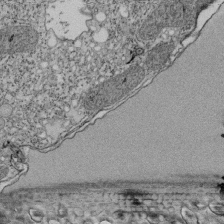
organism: Tetrahymena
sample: Cilia in tetrahymena